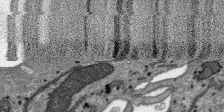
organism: Human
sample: Lung epithelial cells, uninfected (mock) control